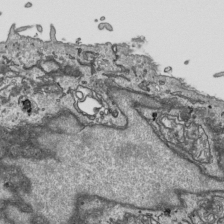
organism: Human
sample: Mitochondria in HCT116 cells